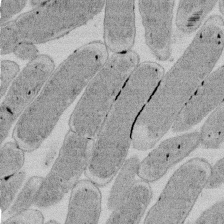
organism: E. coli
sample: Bacterial nucleoid